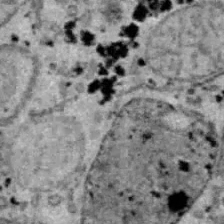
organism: Mouse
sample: Liver from an obese (ob/ob) mouse